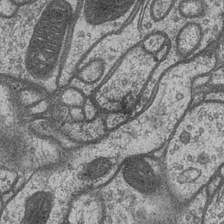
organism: Drosophila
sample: Optic medulla